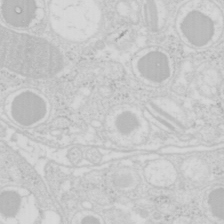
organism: Mouse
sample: Pancreas